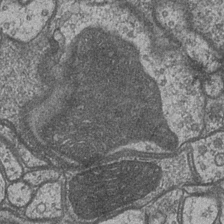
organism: Drosophila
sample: Optic medulla